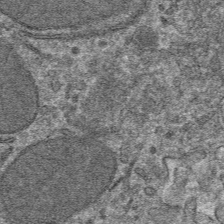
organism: Mouse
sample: Mouse hepatocytes